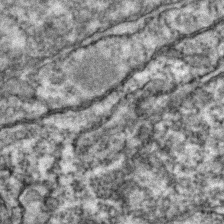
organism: Zebrafish